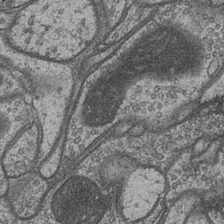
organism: Drosophila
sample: Optic medulla